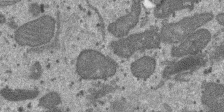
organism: Human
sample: Lung epithelial cells infected with SARS-CoV-2